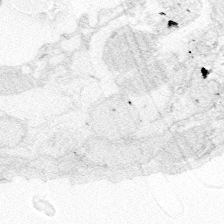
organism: Zebrafish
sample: Whole-Brain